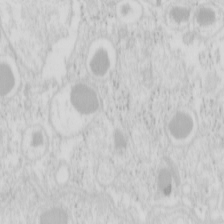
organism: Mouse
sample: Pancreas